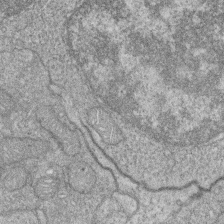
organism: Zebrafish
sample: Cilia; retinal pigment epithelium